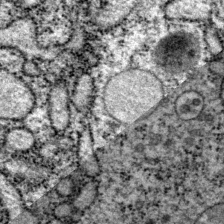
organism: P. pacificus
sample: Pharynx